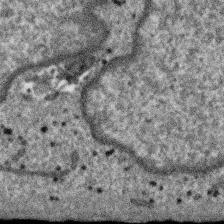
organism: Human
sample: Lung epithelial cells infected with SARS-CoV-2